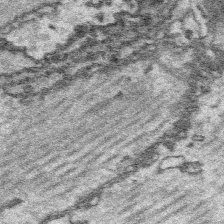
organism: Platynereis dumerilii